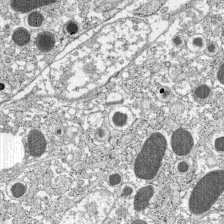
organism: C57BL Mouse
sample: Pancreatic islet